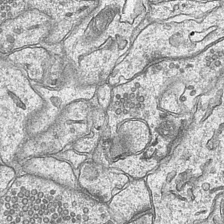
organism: Mouse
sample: CA1 Hippocampus